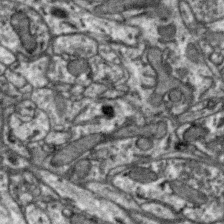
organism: Zebra finch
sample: Brain